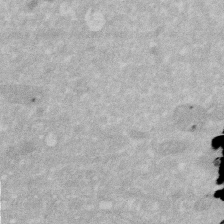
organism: Human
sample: HIV infected U937 cells